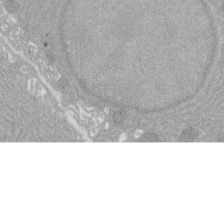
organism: Rat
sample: Salivary granule